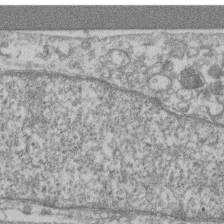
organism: Mouse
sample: T cell stromal cell synapse